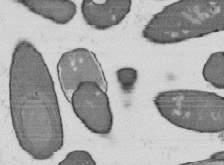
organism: B. subtilis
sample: Bacterial spore